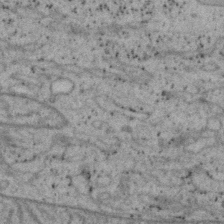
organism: Human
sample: HeLa cells